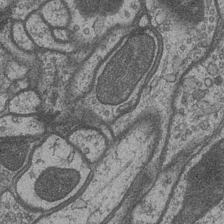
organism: Drosophila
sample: Optic medulla